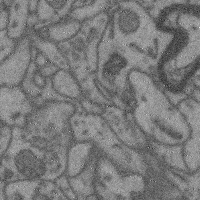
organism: Mouse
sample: Cerebral cortex